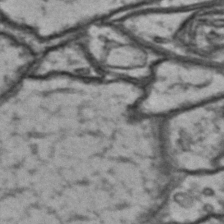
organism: Drosophila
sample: Brain